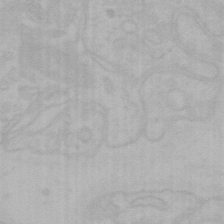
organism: Mouse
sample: Choroid plexus